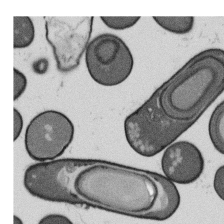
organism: B. subtilis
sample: Bacterial spore